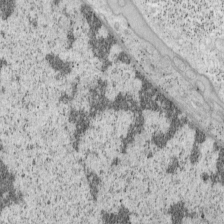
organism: Mouse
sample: OT-I killer T cells with ID8 ovarian cancer cells